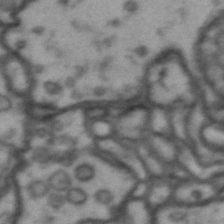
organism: Drosophila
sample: Brain